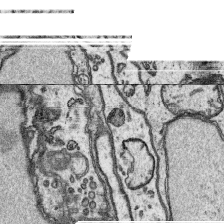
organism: Platynereis dumerilii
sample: Parapodia